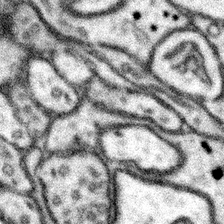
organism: Mouse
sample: Somatosensory cortex neuropil